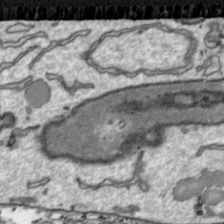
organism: Toxoplasma gondii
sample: Parasites in a vacuole inside a host cell